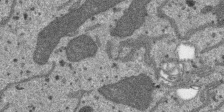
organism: Human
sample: Lung epithelial cells infected with SARS-CoV-2